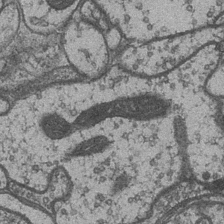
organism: Drosophila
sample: Optic medulla